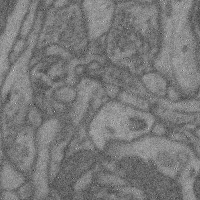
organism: Mouse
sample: Cerebral cortex